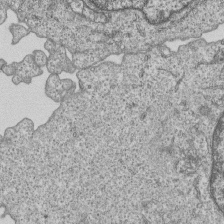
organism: Human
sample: MDA-MB-231 cells